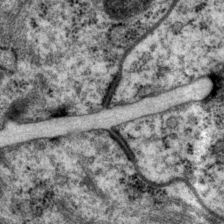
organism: P. pacificus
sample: Pharynx